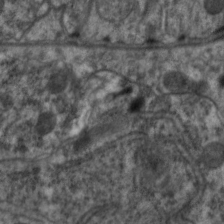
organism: C. elegans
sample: Pharynx